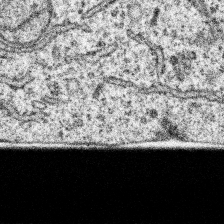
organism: Human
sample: HeLa cells